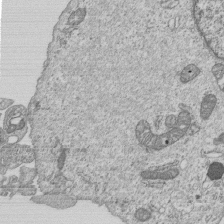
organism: Human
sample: MDA-MB-231 cells